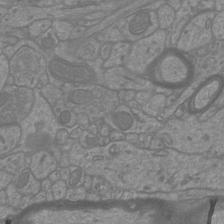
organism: Mouse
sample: Cortical neurons